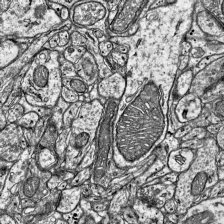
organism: Mouse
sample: Visual Cortex